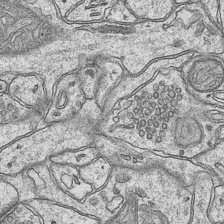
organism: Mouse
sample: CA1 Hippocampus